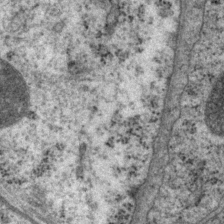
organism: P. pacificus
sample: Pharynx